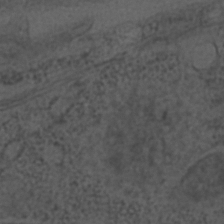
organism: C. elegans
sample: C. elegans embryo